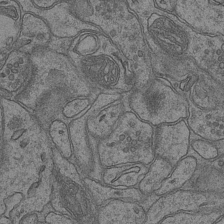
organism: Mouse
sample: CA1 Hippocampus